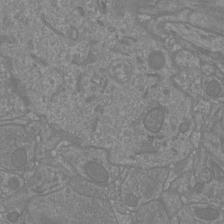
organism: Mouse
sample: Cortical neurons